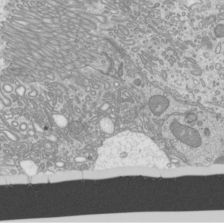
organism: Mouse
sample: Cilia; mouse epididymis